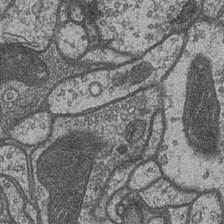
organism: Drosophila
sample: Optic medulla